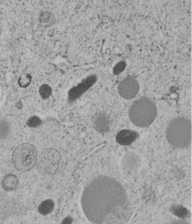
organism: C. elegans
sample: C. elegans embryo early stage